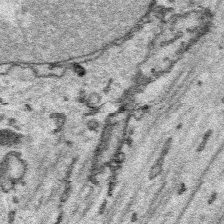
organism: Platynereis dumerilii